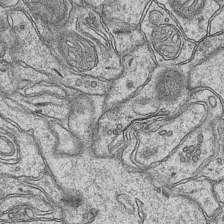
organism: Mouse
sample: CA1 Hippocampus